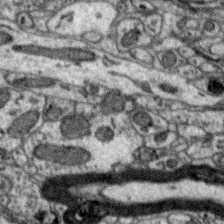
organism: Zebra finch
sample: Brain